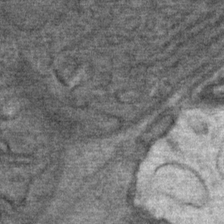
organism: Mouse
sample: Mouse Salivary gland